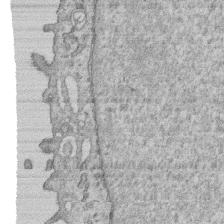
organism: Human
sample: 1205lu cells